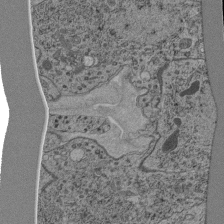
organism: C. elegans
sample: C. elegans pharynx